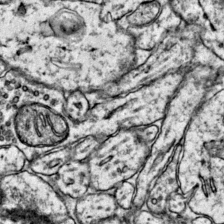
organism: Mouse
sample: Primary visual cortex